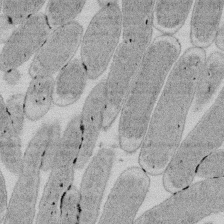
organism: E. coli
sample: Bacterial nucleoid